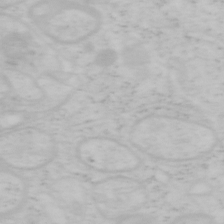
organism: Mouse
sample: OT-I killer T cells with ID8 ovarian cancer cells